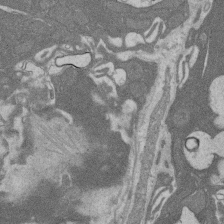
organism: Rat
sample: Salivary granule